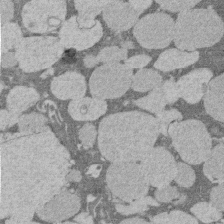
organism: Rat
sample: Salivary granule